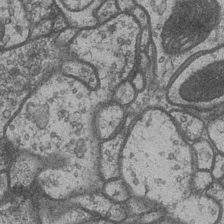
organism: Drosophila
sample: Optic medulla